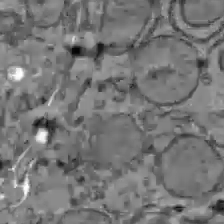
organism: C57BL Mouse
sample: Liver